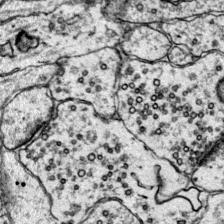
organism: Mouse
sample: Primary visual cortex